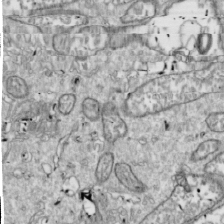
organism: Drosophila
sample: Cell division; meiosis; drosophila spermatocytes